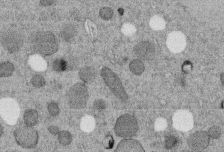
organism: C. elegans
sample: C. elegans embryo early stage